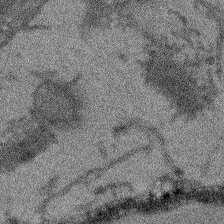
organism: Arabidopsis thaliana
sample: Root tip